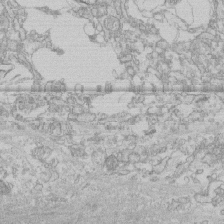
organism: Human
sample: CRL-1474